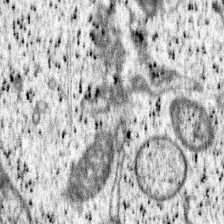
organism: Human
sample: HeLa cells